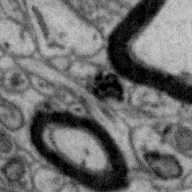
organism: Zebra finch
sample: Brain